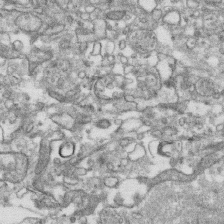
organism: Human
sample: CRL-1474